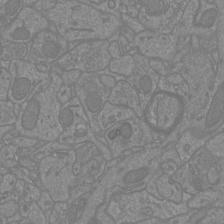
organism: Mouse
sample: Cortical neurons